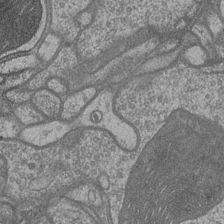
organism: Drosophila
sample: Optic medulla